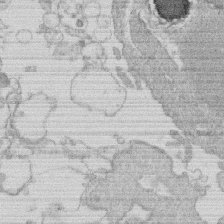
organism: Human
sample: Macrophage cells